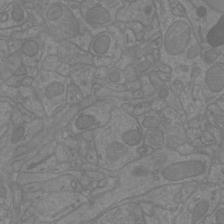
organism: Mouse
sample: Cortical neurons